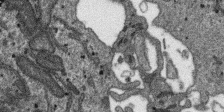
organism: Human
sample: Lung epithelial cells infected with SARS-CoV-2